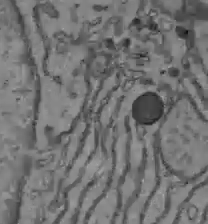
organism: C57BL Mouse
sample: Liver